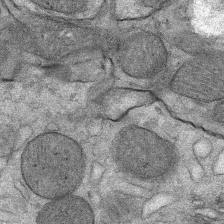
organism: Mouse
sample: Mouse Salivary gland